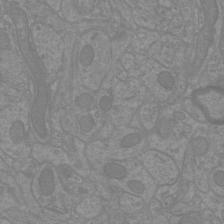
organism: Mouse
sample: Cortical neurons